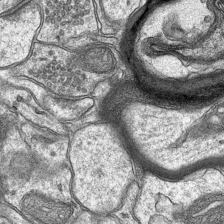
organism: Mouse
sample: CA1 Hippocampus